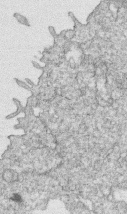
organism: Human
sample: HeLa cell HIV synapse